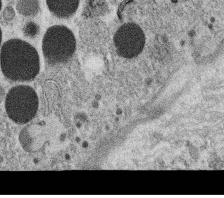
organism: C. elegans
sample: C. elegans oocyte; sperm cells